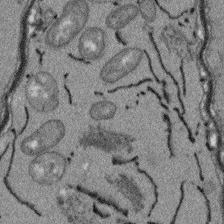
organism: Arabidopsis thaliana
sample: Root tip